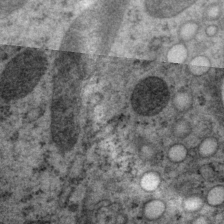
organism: P. pacificus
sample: Pharynx